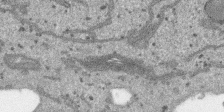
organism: Human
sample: Lung epithelial cells infected with SARS-CoV-2